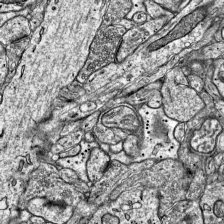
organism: Mouse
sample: Visual Cortex